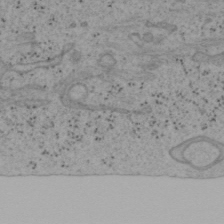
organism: Human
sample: HeLa cells